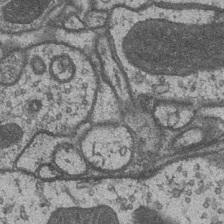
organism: Drosophila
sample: Optic medulla